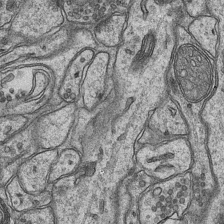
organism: Mouse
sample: CA1 Hippocampus